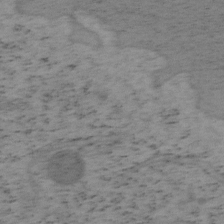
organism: Mouse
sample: OT-I killer T cells with ID8 ovarian cancer cells